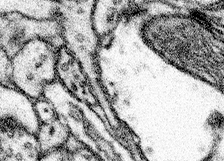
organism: Mouse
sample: Somatosensory cortex neuropil